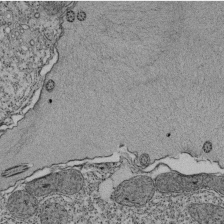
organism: Tetrahymena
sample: Cilia in tetrahymena